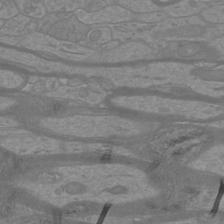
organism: Mouse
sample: Cortical neurons